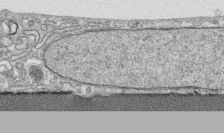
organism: Human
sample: CRL-1474